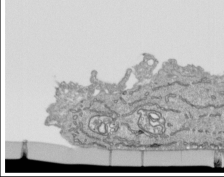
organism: Human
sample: Mitochondria in HCT116 cells